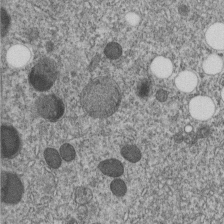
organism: C. elegans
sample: C. elegans embryo early stage